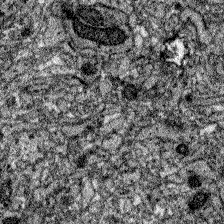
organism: Zebrafish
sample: Larval olfactory bulb